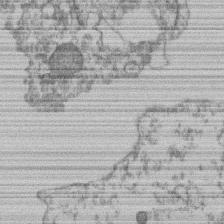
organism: Mouse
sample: T cell stromal cell synapse